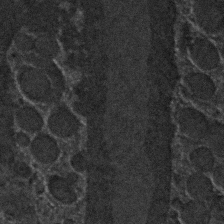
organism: C. elegans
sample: C. elegans embryo